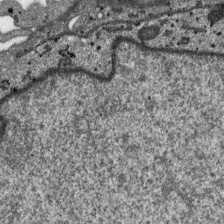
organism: Human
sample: Lung epithelial cells infected with SARS-CoV-2